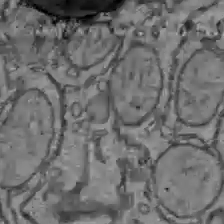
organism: C57BL Mouse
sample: Liver